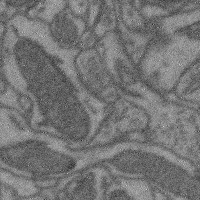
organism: Mouse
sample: Cerebral cortex